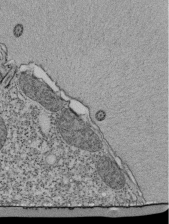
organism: Tetrahymena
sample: Cilia in tetrahymena